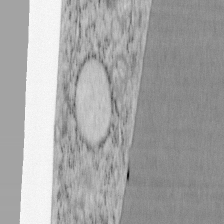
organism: Human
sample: HeLa cells